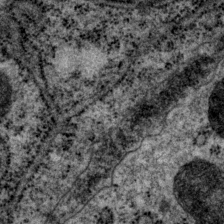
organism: P. pacificus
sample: Pharynx